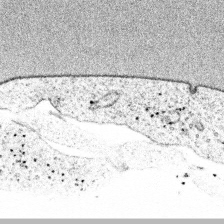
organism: Human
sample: HeLa cells